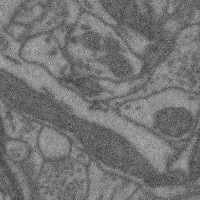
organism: Mouse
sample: Cerebral cortex